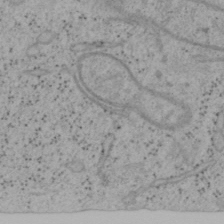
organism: Human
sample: HeLa cells